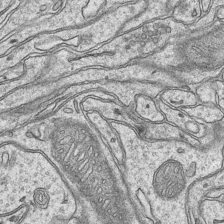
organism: Mouse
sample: CA1 Hippocampus